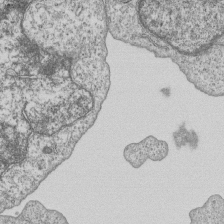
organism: Human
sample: MDA-MB-231 cells